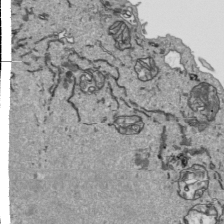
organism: Human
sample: Mitochondria in HCT116 cells